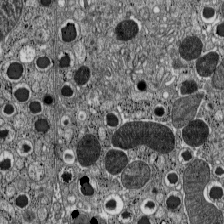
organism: C57BL Mouse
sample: Pancreatic islet